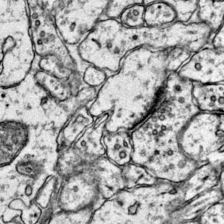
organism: Mouse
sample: Primary visual cortex